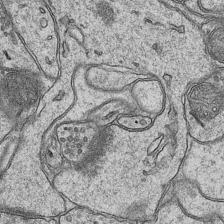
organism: Mouse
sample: CA1 Hippocampus